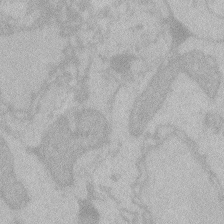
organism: Zebrafish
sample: Macrophage infected with Toxoplasma gondii